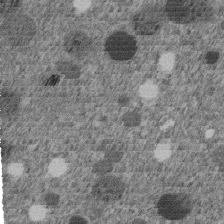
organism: C. elegans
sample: C. elegans embryo early stage